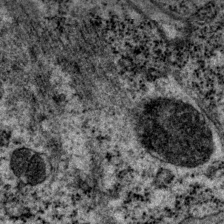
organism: P. pacificus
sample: Pharynx